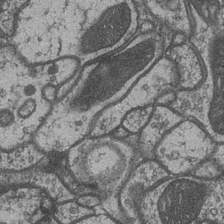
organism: Drosophila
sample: Optic medulla